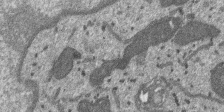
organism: Human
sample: Lung epithelial cells infected with SARS-CoV-2